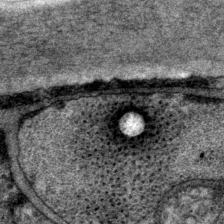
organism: P. pacificus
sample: Pharynx